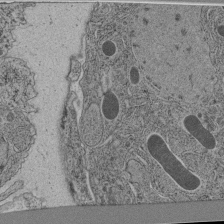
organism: C. elegans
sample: C. elegans pharynx